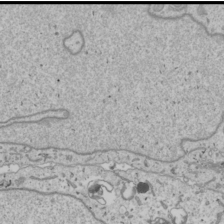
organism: Human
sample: Mitochondria in U2OS cells